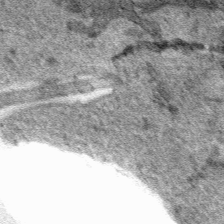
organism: Human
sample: Mitochondria in HCT116 cells